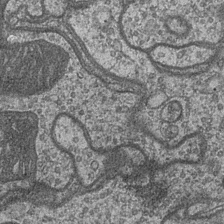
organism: Drosophila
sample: Optic medulla